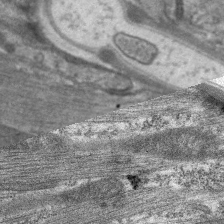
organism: C. elegans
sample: Pharynx